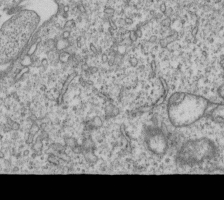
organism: Human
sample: MDA-MB-231 cells